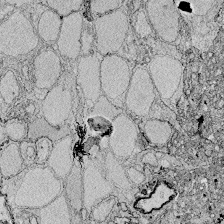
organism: Zebrafish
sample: Whole-Brain